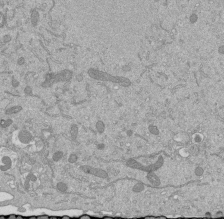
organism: Mouse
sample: ED-1 cell nuclei; centrioles